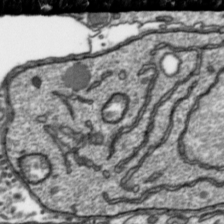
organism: Toxoplasma gondii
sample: Parasites in a vacuole inside a host cell